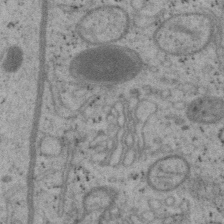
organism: Human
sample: HeLa cells